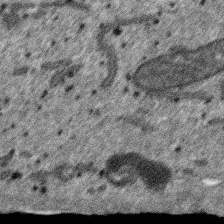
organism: Human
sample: Lung epithelial cells infected with SARS-CoV-2